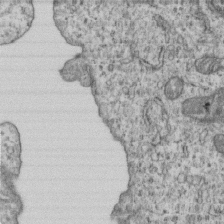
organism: Human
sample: MDA-MB-231 cells